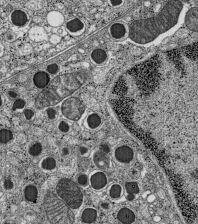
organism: C57BL Mouse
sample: Pancreatic islet